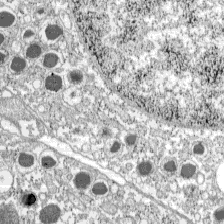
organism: C57BL Mouse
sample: Pancreatic islet